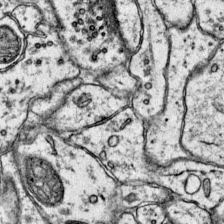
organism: Mouse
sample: Primary visual cortex